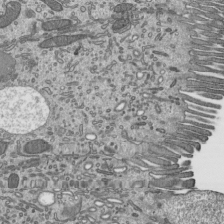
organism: Mouse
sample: Mouse epididymis efferent ductule cilia